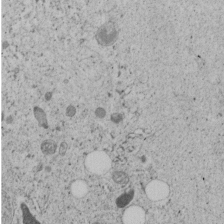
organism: C. elegans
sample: C. elegans embryo early stage